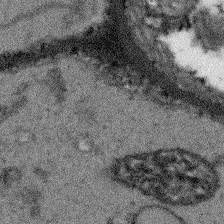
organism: Arabidopsis thaliana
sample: Root tip